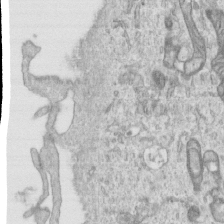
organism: Human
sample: Centriole in RPE cells